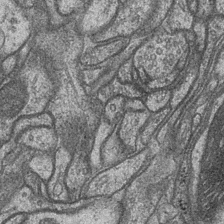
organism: Drosophila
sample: Optic medulla